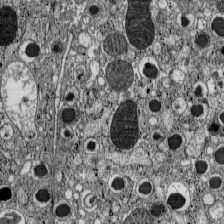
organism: C57BL Mouse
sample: Pancreatic islet